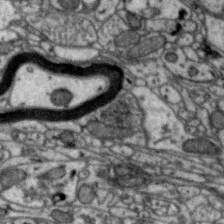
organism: Zebra finch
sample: Brain